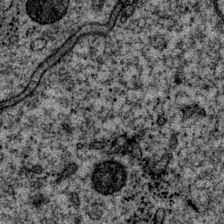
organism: P. pacificus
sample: Pharynx